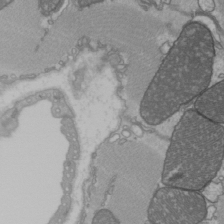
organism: C57BL Mouse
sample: Heart